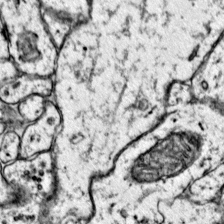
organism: Mouse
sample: Primary visual cortex